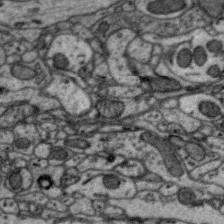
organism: Zebra finch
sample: Brain